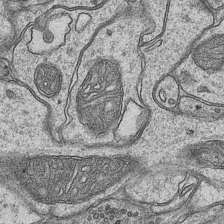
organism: Mouse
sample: CA1 Hippocampus